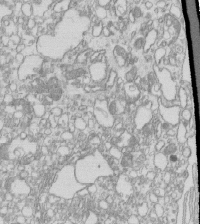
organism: Mouse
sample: Macrophages